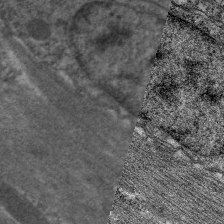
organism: C. elegans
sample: Pharynx